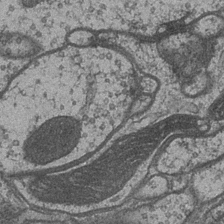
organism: Drosophila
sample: Optic medulla